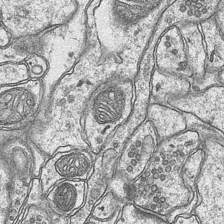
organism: Mouse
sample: CA1 Hippocampus